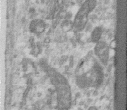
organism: Human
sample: Centriole in RPE cells